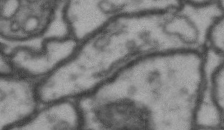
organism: Drosophila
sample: Brain